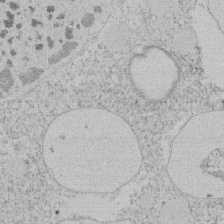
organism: Tetrahymena